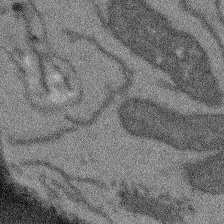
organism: Arabidopsis thaliana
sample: Root tip